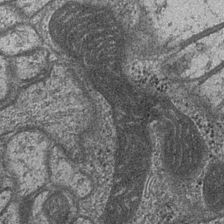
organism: Drosophila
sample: Optic medulla